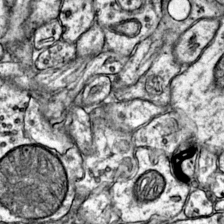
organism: Mouse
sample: Primary visual cortex